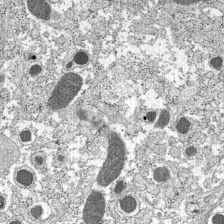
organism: C57BL Mouse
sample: Pancreatic islet